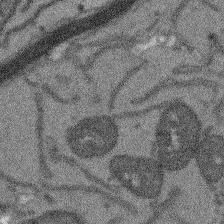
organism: Arabidopsis thaliana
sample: Root tip